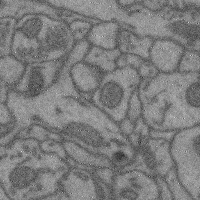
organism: Mouse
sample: Cerebral cortex